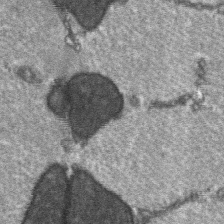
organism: C57BL Mouse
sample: Soleus